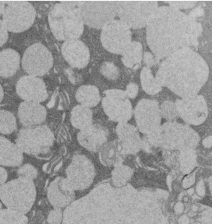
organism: Rat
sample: Salivary granule